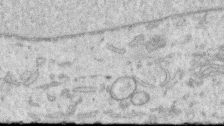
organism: Human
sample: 1205lu cells